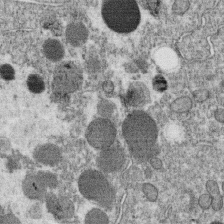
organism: C. elegans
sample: C. elegans oocyte; sperm cells